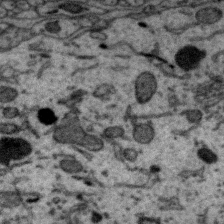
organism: Zebra finch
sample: Brain